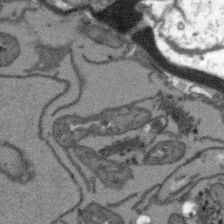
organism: Arabidopsis thaliana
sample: Root tip